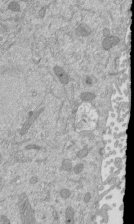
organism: Mouse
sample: ED-1 cell nuclei; centrioles